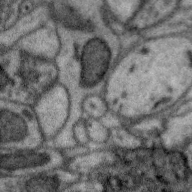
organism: Zebra finch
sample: Brain